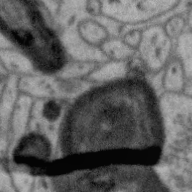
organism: Zebra finch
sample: Brain